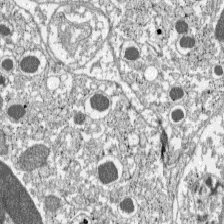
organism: C57BL Mouse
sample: Pancreatic islet